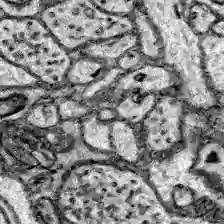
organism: Zebrafish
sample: Brain